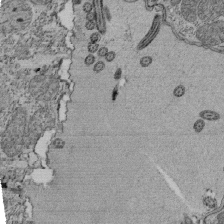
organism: Tetrahymena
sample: Cilia in tetrahymena